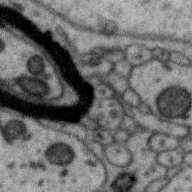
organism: Zebra finch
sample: Brain